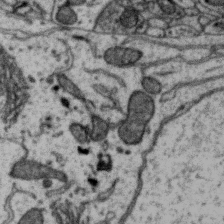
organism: Zebra finch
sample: Brain